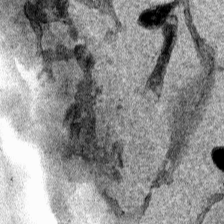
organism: Human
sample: Mitochondria in HCT116 cells